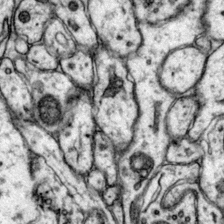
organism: Mouse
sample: Primary visual cortex